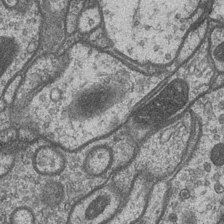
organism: Drosophila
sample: Optic medulla